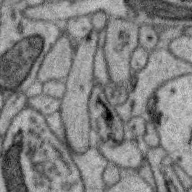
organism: Zebra finch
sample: Brain